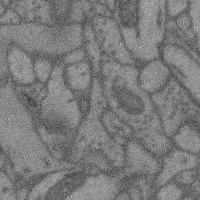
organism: Mouse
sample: Cerebral cortex